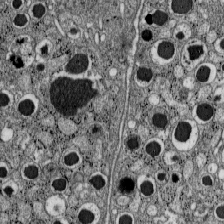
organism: C57BL Mouse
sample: Pancreatic islet